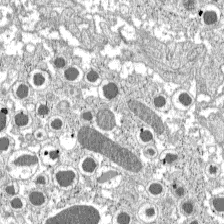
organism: C57BL Mouse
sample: Pancreatic islet